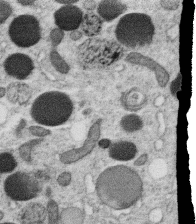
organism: C. elegans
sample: C. elegans oocyte; sperm cells